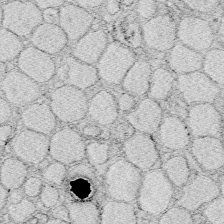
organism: Zebrafish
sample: Whole-Brain